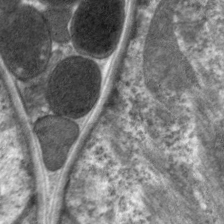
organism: C. elegans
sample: Pharynx